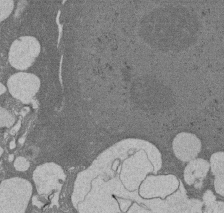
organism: Rat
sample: Salivary granule